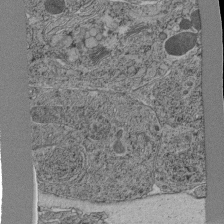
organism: C. elegans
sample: C. elegans pharynx